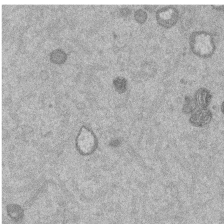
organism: Mouse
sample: Dividing mouse embryo 1 cell stage